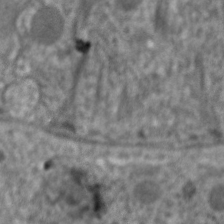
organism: C. elegans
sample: Pharynx